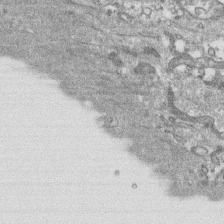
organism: Human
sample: CRL-1474